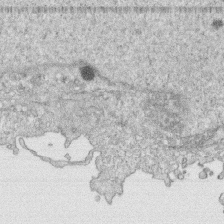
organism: Human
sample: HeLa cell HIV synapse